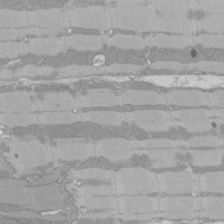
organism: Rat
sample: Left ventricle